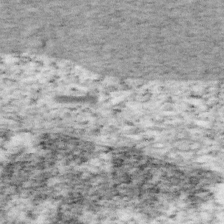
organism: Mouse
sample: OT-I killer T cells with ID8 ovarian cancer cells